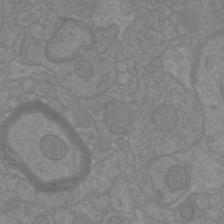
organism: Mouse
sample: Cortical neurons